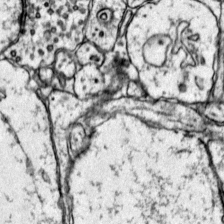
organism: Mouse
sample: Primary visual cortex